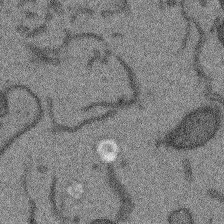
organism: Arabidopsis thaliana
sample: Root tip